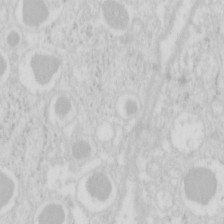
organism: Mouse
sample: Pancreas